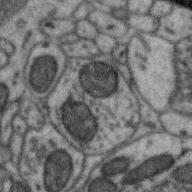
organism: Zebra finch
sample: Brain